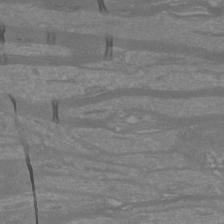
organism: Mouse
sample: Cortical neurons